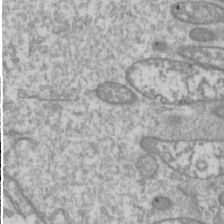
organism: Drosophila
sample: Cell division; meiosis; drosophila spermatocytes